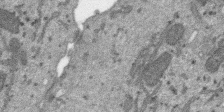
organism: Human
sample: Lung epithelial cells infected with SARS-CoV-2